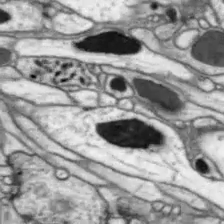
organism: Drosophila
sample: Optic lobe